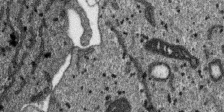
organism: Human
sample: Lung epithelial cells infected with SARS-CoV-2